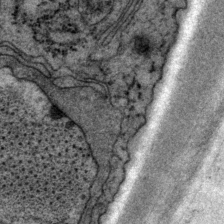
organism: P. pacificus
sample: Pharynx